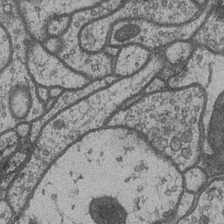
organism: Drosophila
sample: Optic medulla